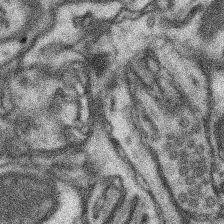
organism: Mouse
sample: Somatosensory cortex neuropil